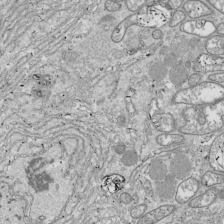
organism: Drosophila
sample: Cell division; meiosis; drosophila spermatocytes